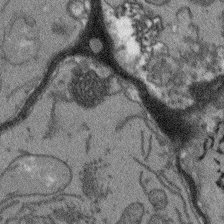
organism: Arabidopsis thaliana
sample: Root tip